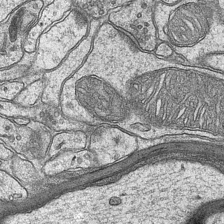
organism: Mouse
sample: CA1 Hippocampus